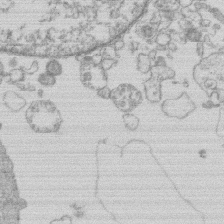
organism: Human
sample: Macrophage cells